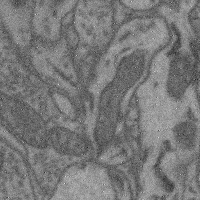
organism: Mouse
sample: Cerebral cortex